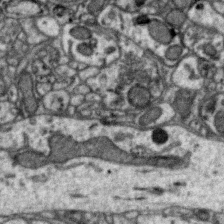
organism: Zebra finch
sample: Brain